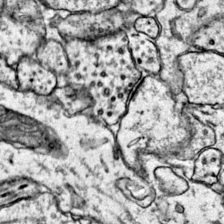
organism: Mouse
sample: Primary visual cortex